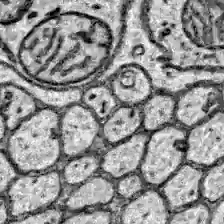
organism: Zebrafish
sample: Brain